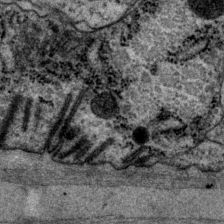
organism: P. pacificus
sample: Pharynx